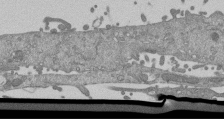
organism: Mouse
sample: ED-1 cell nuclei; centrioles